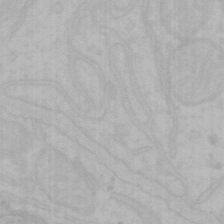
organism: Mouse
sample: Choroid plexus